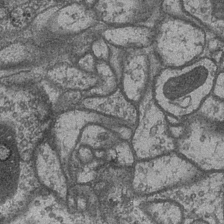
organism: Drosophila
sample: Optic medulla